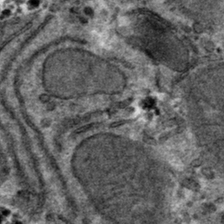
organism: Mouse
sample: Mouse hepatocytes